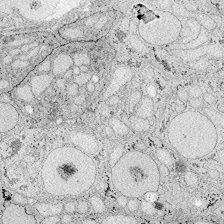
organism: Zebrafish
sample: Whole-Brain